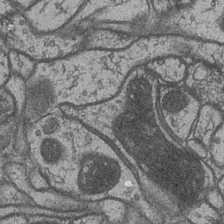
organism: Drosophila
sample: Optic medulla